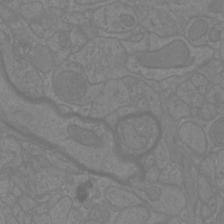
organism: Mouse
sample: Cortical neurons